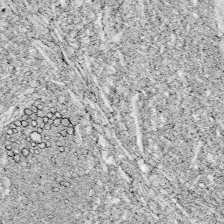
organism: Zebrafish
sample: Whole-Brain